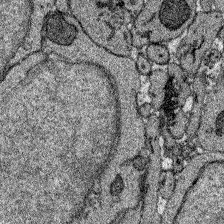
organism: Zebrafish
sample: Larval olfactory bulb